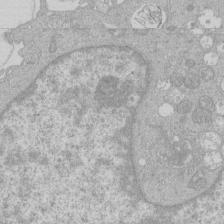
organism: Human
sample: Macrophage cells